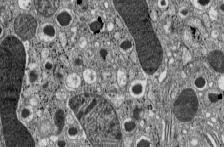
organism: C57BL Mouse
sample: Pancreatic islet